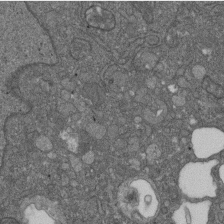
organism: Drosophila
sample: Nephrocyte